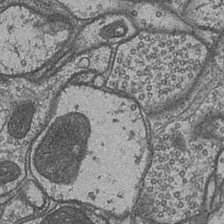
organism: Drosophila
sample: Optic medulla